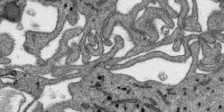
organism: Human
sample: Lung epithelial cells, uninfected (mock) control